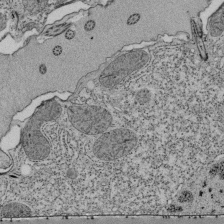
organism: Tetrahymena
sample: Cilia in tetrahymena